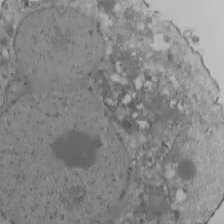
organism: Human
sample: Jurkat E6-1 and CD4 cells